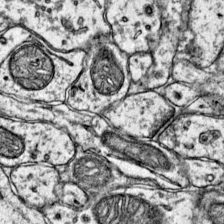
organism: Mouse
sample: Primary visual cortex